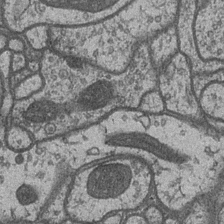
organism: Drosophila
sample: Optic medulla